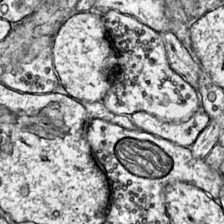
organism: Mouse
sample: Primary visual cortex